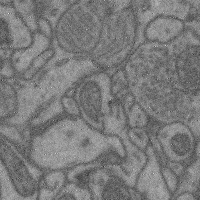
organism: Mouse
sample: Cerebral cortex